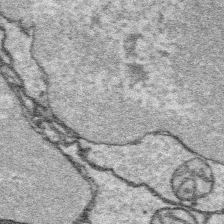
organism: Platynereis dumerilii